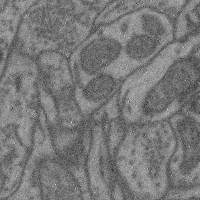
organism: Mouse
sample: Cerebral cortex